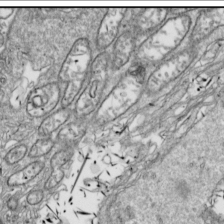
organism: Drosophila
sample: Cell division; meiosis; drosophila spermatocytes